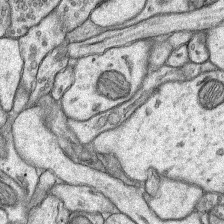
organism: Rat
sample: Hippocampus